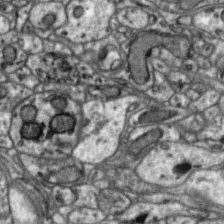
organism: Zebra finch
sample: Brain